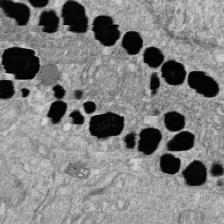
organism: Zebrafish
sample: Cilia; retinal pigment epithelium